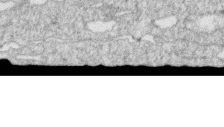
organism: Human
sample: HeLa cell HIV synapse